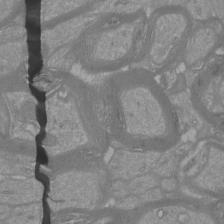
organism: Mouse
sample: Cortical neurons